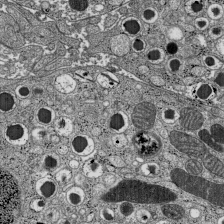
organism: C57BL Mouse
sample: Pancreatic islet